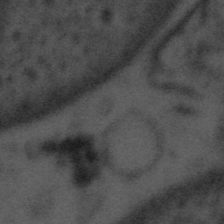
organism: Tuwongella immobilis